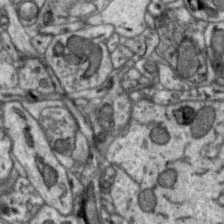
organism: Zebra finch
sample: Brain